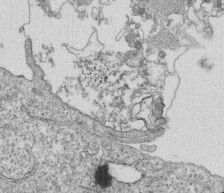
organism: Human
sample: HeLa cell HIV synapse